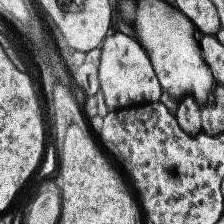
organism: Human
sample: Temporal Lobe